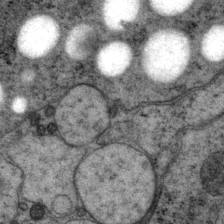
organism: P. pacificus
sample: Pharynx